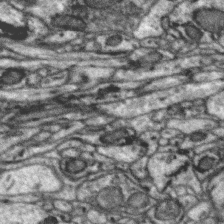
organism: Zebra finch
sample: Brain